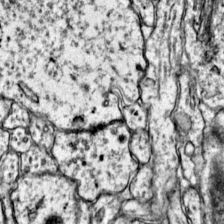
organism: Mouse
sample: Primary visual cortex